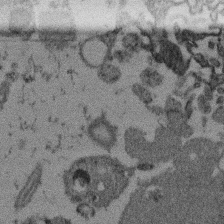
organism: Mouse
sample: Dividing mouse embryo 1 cell stage